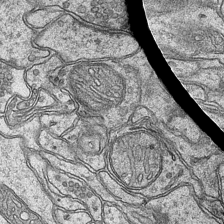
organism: Mouse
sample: CA1 Hippocampus